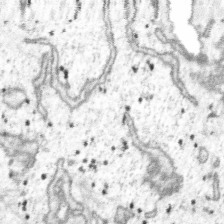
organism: Human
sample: HeLa cells